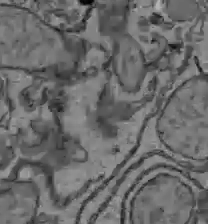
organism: C57BL Mouse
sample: Liver